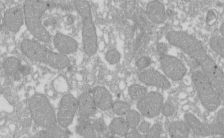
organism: Xenopus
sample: Cilia; centrioles in frog embryo cells